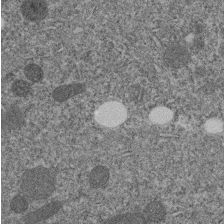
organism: C. elegans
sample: C. elegans embryo early stage